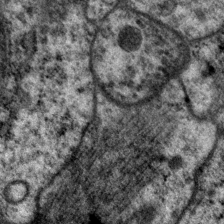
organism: P. pacificus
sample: Pharynx